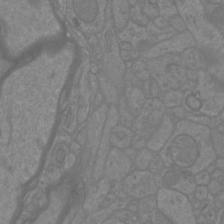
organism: Mouse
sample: Cortical neurons